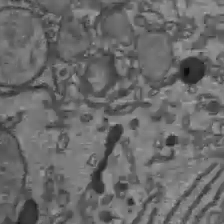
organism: C57BL Mouse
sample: Liver